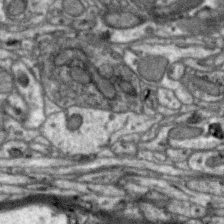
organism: Zebra finch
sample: Brain